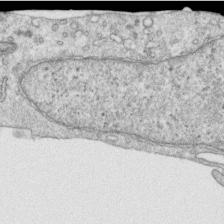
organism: Human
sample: Centriole in RPE cells